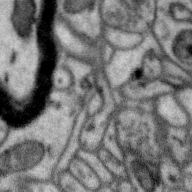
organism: Zebra finch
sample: Brain